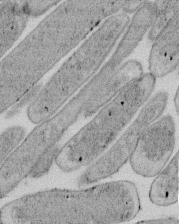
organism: E. coli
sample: Bacterial nucleoid